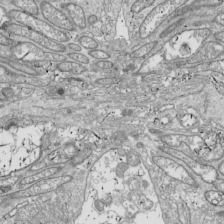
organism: Drosophila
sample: Cell division; meiosis; drosophila spermatocytes